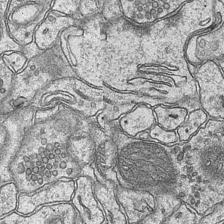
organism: Mouse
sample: CA1 Hippocampus